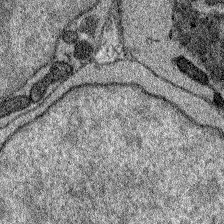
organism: Zebrafish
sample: Larval olfactory bulb